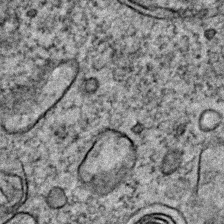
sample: Trachea